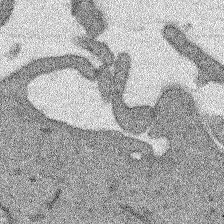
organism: Human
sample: HeLa cells